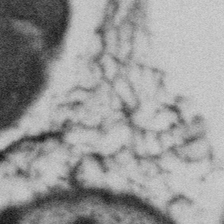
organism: Gemmata obscuriglobus